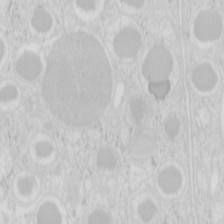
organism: Mouse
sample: Pancreas